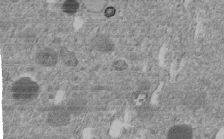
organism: C. elegans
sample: C. elegans embryo early stage